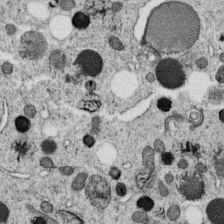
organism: C. elegans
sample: C. elegans oocyte; sperm cells